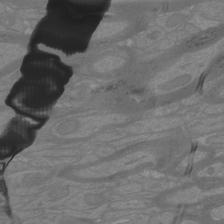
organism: Mouse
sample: Cortical neurons